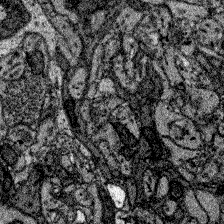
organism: Zebrafish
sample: Larval olfactory bulb